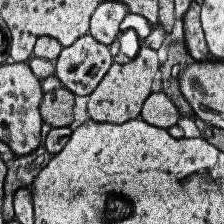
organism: Human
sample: Temporal Lobe